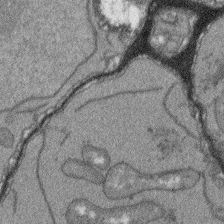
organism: Arabidopsis thaliana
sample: Root tip